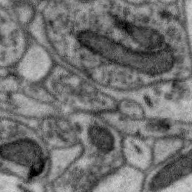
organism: Zebra finch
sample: Brain